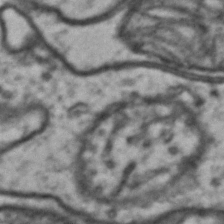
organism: Drosophila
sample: Brain